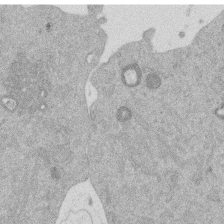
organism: Mouse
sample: Dividing mouse embryo 1 cell stage